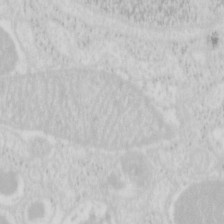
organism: Mouse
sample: Pancreas